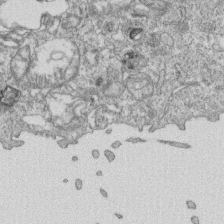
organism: Human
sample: HeLa cell HIV synapse